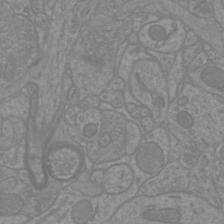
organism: Mouse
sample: Cortical neurons